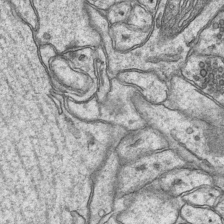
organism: Mouse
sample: CA1 Hippocampus